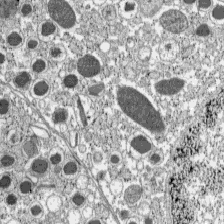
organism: C57BL Mouse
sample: Pancreatic islet